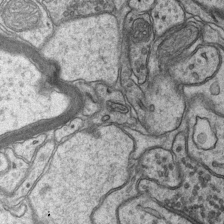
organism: Mouse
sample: CA1 Hippocampus